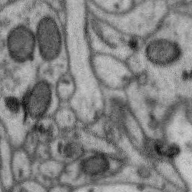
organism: Zebra finch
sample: Brain